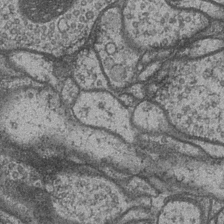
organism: Drosophila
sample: Optic medulla